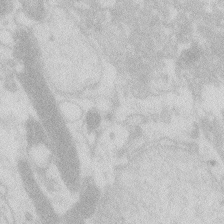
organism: Zebrafish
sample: Macrophage